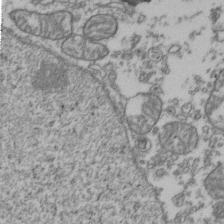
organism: Human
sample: Activated Jurkat CD4+ T cells